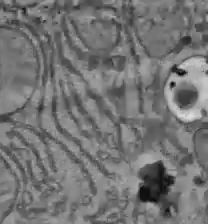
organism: C57BL Mouse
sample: Liver